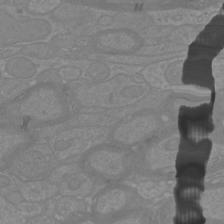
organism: Mouse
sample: Cortical neurons